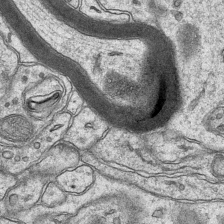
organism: Mouse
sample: CA1 Hippocampus